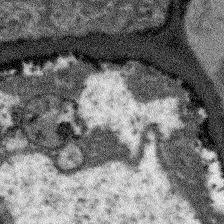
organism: Arabidopsis thaliana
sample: Root tip